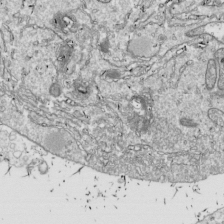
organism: Drosophila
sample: Cell division; meiosis; drosophila spermatocytes